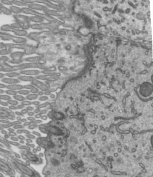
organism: Mouse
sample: Mouse epididymis efferent ductule cilia